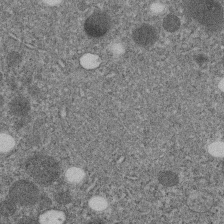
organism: C. elegans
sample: C. elegans embryo early stage